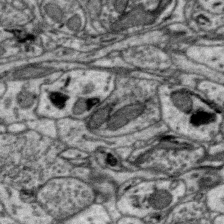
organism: Zebra finch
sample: Brain